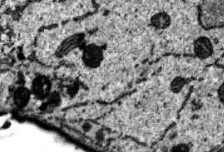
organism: Human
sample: HeLa cells